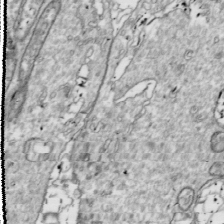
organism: Drosophila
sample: Cell division; meiosis; drosophila spermatocytes